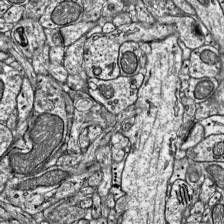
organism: Mouse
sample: Visual Cortex